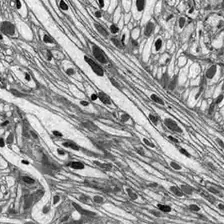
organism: Drosophila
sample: Optic lobe